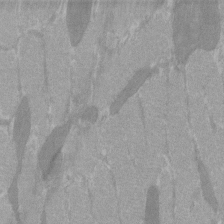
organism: C57BL Mouse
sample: Tibialis anterior muscle cell